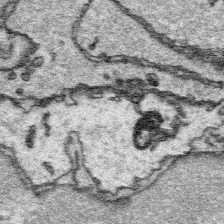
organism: Platynereis dumerilii